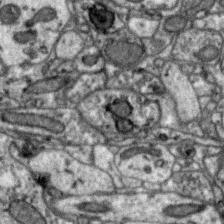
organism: Zebra finch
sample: Brain